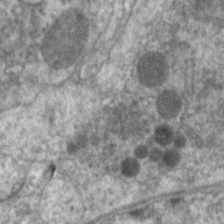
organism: C. elegans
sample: Pharynx